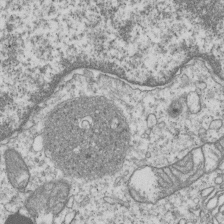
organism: Human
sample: MDA-MB-231 cells